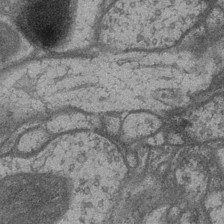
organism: Drosophila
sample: Optic medulla